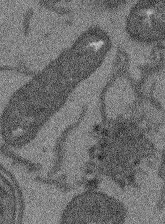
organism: Arabidopsis thaliana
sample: Root tip